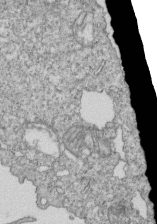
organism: Human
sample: HeLa cell HIV synapse